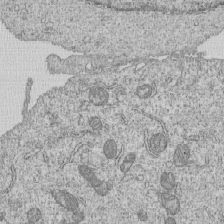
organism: Human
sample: MDA-MB-231 cells